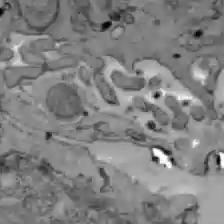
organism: C57BL Mouse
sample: Liver